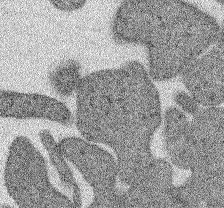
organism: Human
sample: HeLa cells